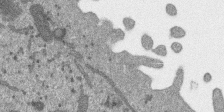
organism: Human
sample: Lung epithelial cells infected with SARS-CoV-2